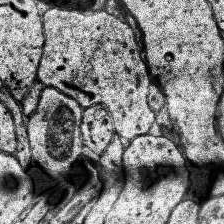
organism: Human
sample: Temporal Lobe